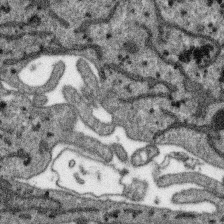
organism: Human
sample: Lung epithelial cells infected with SARS-CoV-2